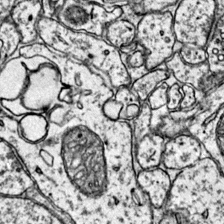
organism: Mouse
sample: Primary visual cortex